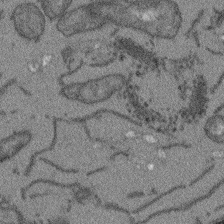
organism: Arabidopsis thaliana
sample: Root tip